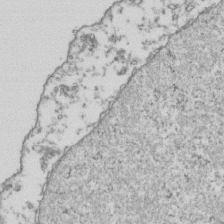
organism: Human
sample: Activated Jurkat CD4+ T cells